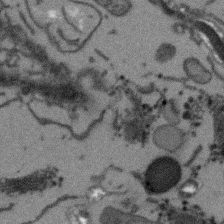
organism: Arabidopsis thaliana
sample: Root tip